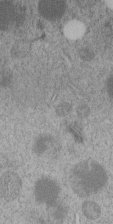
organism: C. elegans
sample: C. elegans embryo early stage